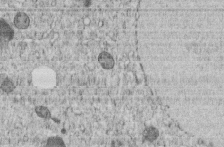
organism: C. elegans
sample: C. elegans embryo early stage